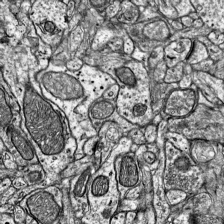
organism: Mouse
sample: Visual Cortex